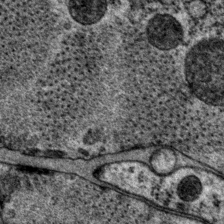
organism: P. pacificus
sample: Pharynx